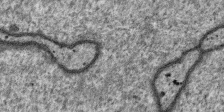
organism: Human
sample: Lung epithelial cells, uninfected (mock) control